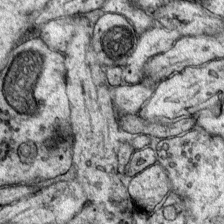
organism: Mouse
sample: Primary visual cortex